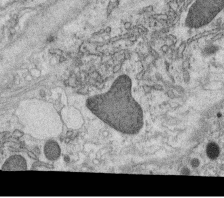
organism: C. elegans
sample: C. elegans oocyte; sperm cells